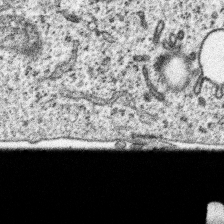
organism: Human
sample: HeLa cells